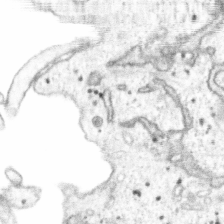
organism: Human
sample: HeLa cells